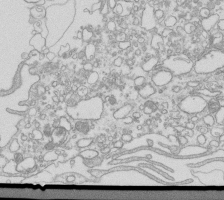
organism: Mouse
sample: Macrophages